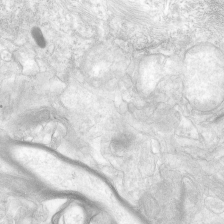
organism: Human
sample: Neocortex